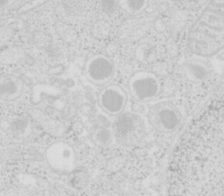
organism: Mouse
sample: Pancreas